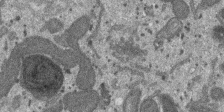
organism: Human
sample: Lung epithelial cells infected with SARS-CoV-2